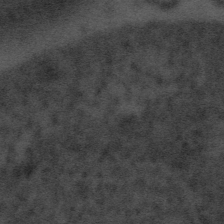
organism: Tuwongella immobilis